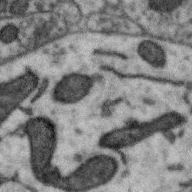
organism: Zebra finch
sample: Brain